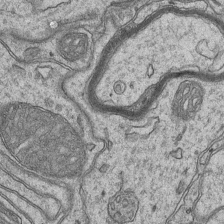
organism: Mouse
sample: CA1 Hippocampus